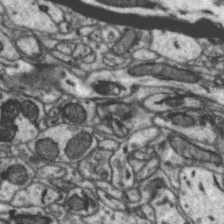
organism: Zebra finch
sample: Brain